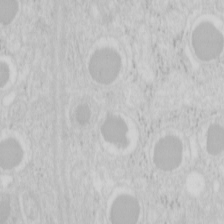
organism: Mouse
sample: Pancreas